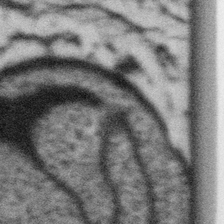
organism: Gemmata obscuriglobus